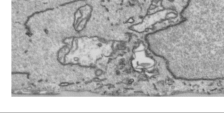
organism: Human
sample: Mitochondria in HCT116 cells